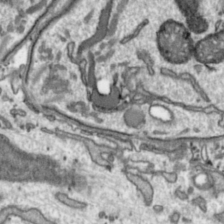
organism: Toxoplasma gondii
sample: Parasites in a vacuole inside a host cell